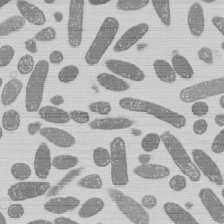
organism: E. coli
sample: Bacterial nucleoid